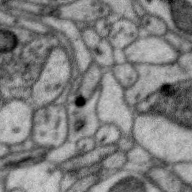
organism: Zebra finch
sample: Brain